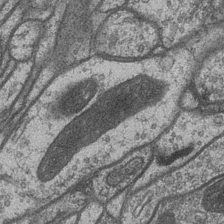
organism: Drosophila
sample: Optic medulla